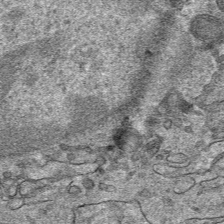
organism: Mouse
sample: Mouse hepatocytes